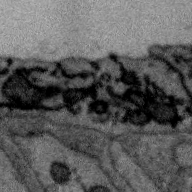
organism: Zebra finch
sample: Brain